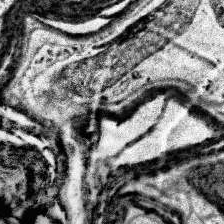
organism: Human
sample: Temporal Lobe